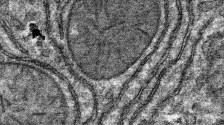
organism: Mouse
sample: Mouse hepatocytes